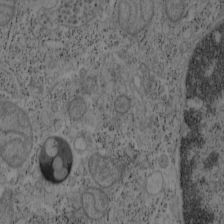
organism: Mouse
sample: OT-I killer T cells with ID8 ovarian cancer cells